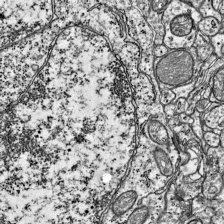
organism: Mouse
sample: Visual Cortex